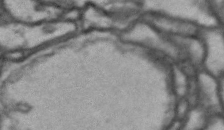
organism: Drosophila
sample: Brain